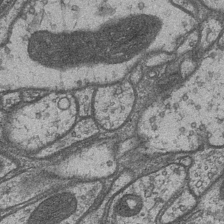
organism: Drosophila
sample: Optic medulla